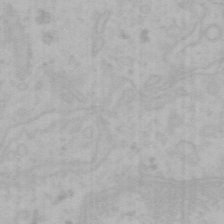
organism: Mouse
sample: Choroid plexus